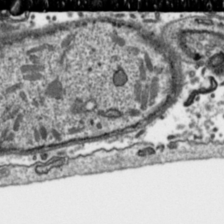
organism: Toxoplasma gondii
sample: Parasites in a vacuole inside a host cell